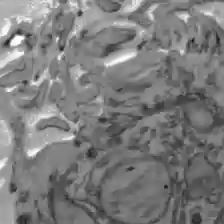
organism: C57BL Mouse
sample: Liver